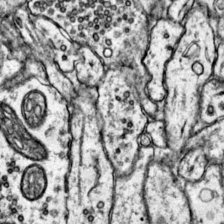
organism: Mouse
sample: Primary visual cortex